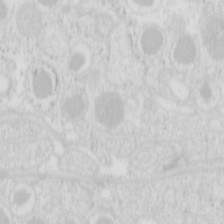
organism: Mouse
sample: Pancreas